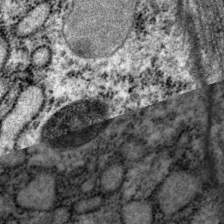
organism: P. pacificus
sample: Pharynx